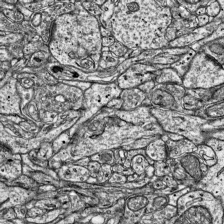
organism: Mouse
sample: Visual Cortex